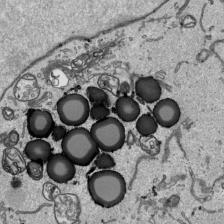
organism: Human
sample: Mitochondria in HCT116 cells